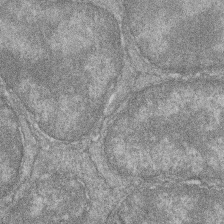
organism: Zebrafish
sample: Cilia; retinal pigment epithelium